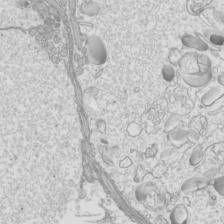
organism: Mouse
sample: Cilia; mouse epididymis